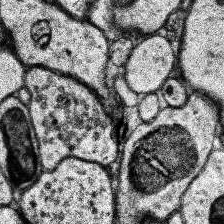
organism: Human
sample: Temporal Lobe